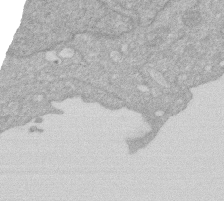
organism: Human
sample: HIV infected U937 cells